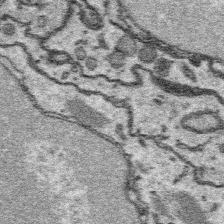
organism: Platynereis dumerilii